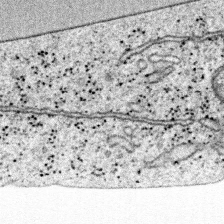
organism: Human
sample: HeLa cells